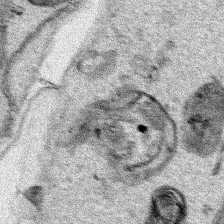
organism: Human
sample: Mitochondria in HCT116 cells